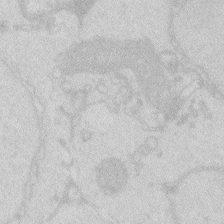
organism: Zebrafish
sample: Macrophage